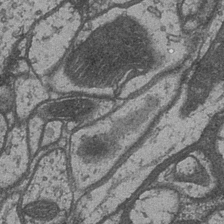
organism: Drosophila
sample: Optic medulla